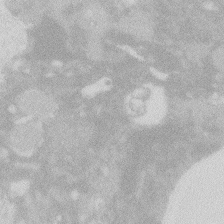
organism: Zebrafish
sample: Macrophage